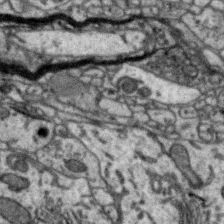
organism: Zebra finch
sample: Brain